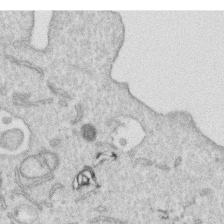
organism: Human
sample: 1205lu cells